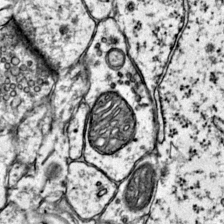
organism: Mouse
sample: Primary visual cortex